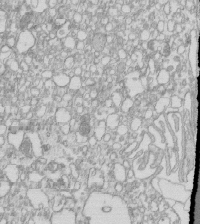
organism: Mouse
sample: Macrophages